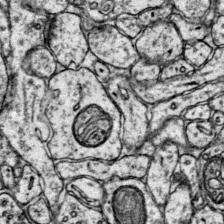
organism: Mouse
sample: Primary visual cortex